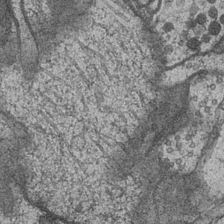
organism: Drosophila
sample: Optic medulla